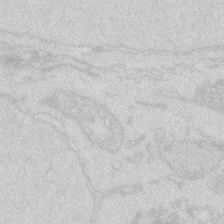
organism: Zebrafish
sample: Macrophage